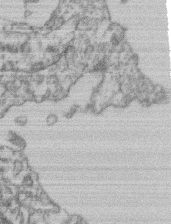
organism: Mouse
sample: T cell stromal cell synapse